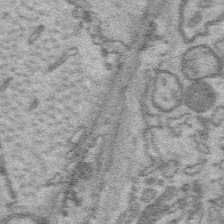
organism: Platynereis dumerilii